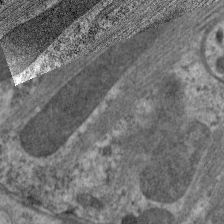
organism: C. elegans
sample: Pharynx